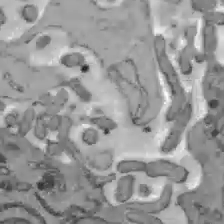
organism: C57BL Mouse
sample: Liver